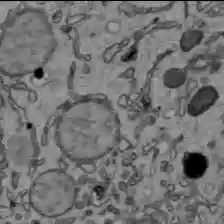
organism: C57BL Mouse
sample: Liver